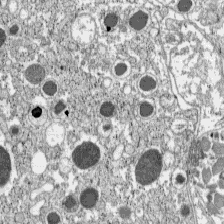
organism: C57BL Mouse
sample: Pancreatic islet